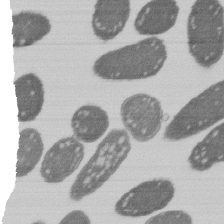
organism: E. coli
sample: Bacterial nucleoid